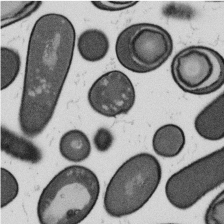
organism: B. subtilis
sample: Bacterial spore